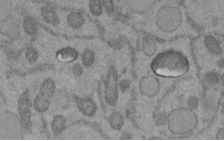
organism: C. elegans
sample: C. elegans embryo early stage